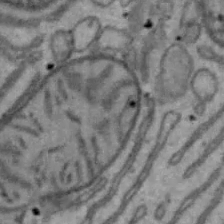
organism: Mouse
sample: Liver